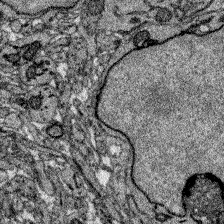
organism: Zebrafish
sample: Larval olfactory bulb